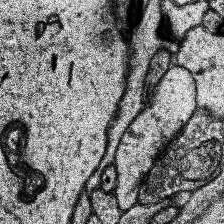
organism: Human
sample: Temporal Lobe